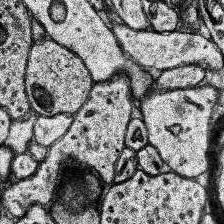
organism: Human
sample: Temporal Lobe